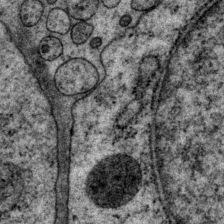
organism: P. pacificus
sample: Pharynx